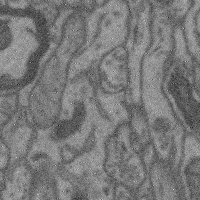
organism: Mouse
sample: Cerebral cortex